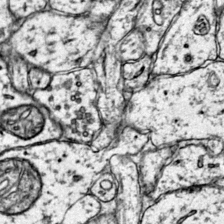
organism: Mouse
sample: Primary visual cortex